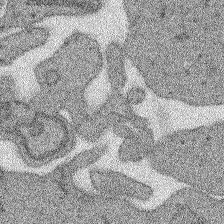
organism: Human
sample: HeLa cells